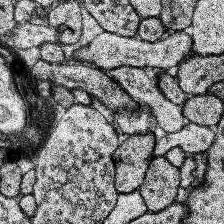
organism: Human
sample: Temporal Lobe